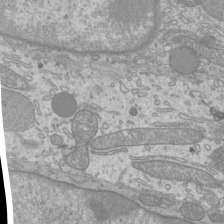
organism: Mouse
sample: Cilia; mouse epididymis